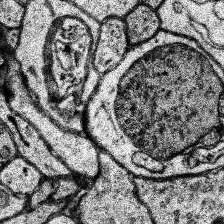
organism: Human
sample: Temporal Lobe